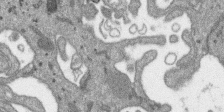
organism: Human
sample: Lung epithelial cells infected with SARS-CoV-2